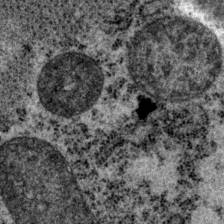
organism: P. pacificus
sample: Pharynx